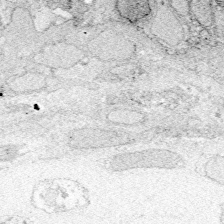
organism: Zebrafish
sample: Whole-Brain